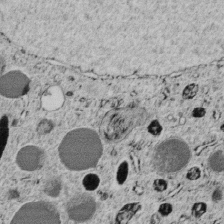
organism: C. elegans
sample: C. elegans embryo early stage